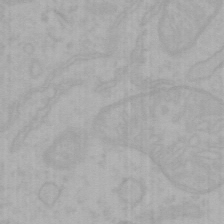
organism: Mouse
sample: Choroid plexus